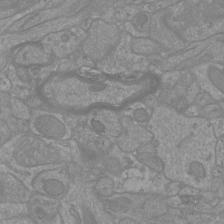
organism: Mouse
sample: Cortical neurons